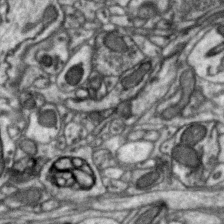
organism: Zebra finch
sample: Brain